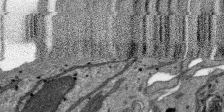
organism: Human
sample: Lung epithelial cells, uninfected (mock) control